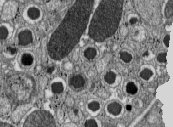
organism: C57BL Mouse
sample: Pancreatic islet